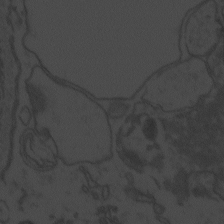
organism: Zebrafish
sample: Macrophage infected with Toxoplasma gondii